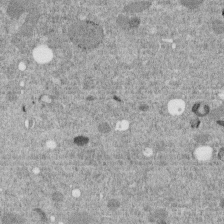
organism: C. elegans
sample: C. elegans embryo early stage